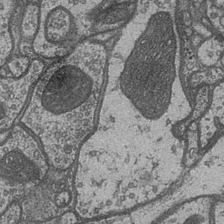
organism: Drosophila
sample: Optic medulla